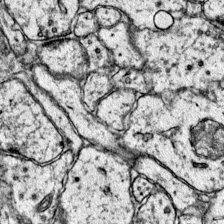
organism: Mouse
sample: Primary visual cortex